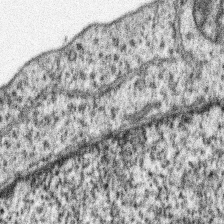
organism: Human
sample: HeLa cells